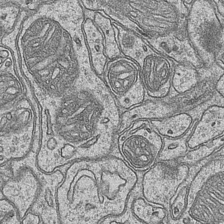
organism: Mouse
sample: CA1 Hippocampus